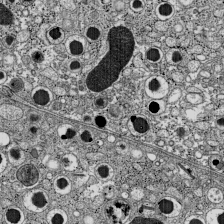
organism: C57BL Mouse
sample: Pancreatic islet